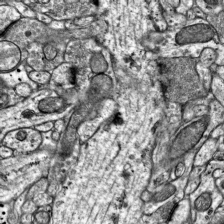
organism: Mouse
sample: Visual Cortex